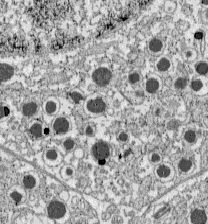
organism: C57BL Mouse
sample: Pancreatic islet